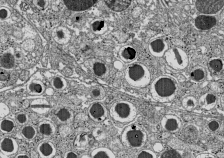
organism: C57BL Mouse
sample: Pancreatic islet